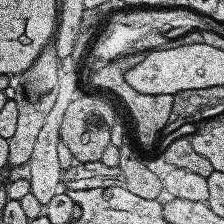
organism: Human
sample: Temporal Lobe